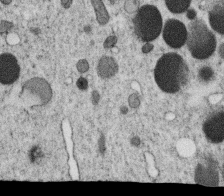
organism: C. elegans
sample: C. elegans oocyte; sperm cells